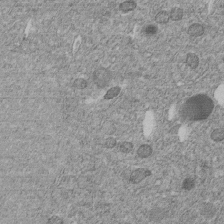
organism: C. elegans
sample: C. elegans embryo early stage